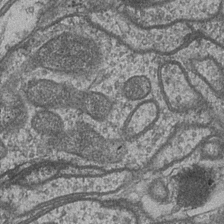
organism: Drosophila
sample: Optic medulla